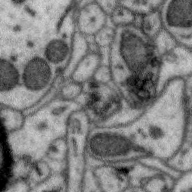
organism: Zebra finch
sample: Brain